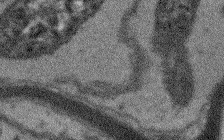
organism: Arabidopsis thaliana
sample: Root tip